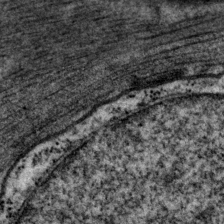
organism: P. pacificus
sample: Pharynx